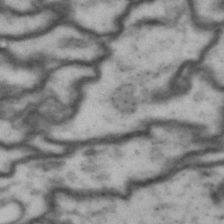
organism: Drosophila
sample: Brain